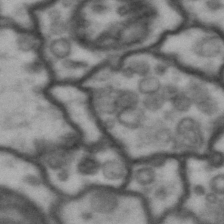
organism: Drosophila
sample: Brain